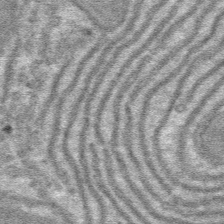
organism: Mouse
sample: Mouse hepatocytes